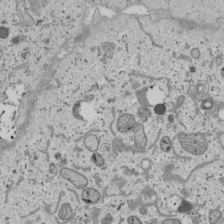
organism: Human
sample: Mitochondria in U2OS cells